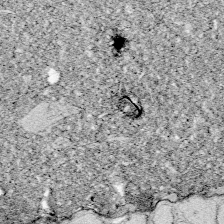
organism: Zebrafish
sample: Whole-Brain